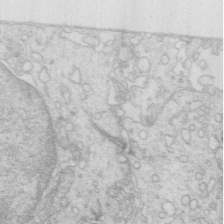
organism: Mouse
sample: Multiciliated cells